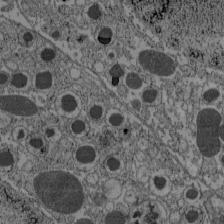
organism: C57BL Mouse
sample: Pancreatic islet